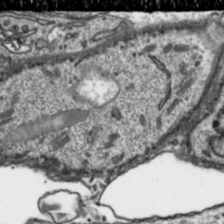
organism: Toxoplasma gondii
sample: Parasites in a vacuole inside a host cell